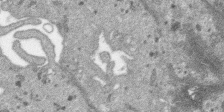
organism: Human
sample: Lung epithelial cells infected with SARS-CoV-2